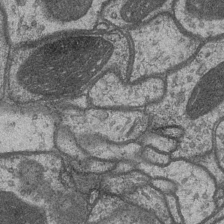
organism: Drosophila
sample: Optic medulla